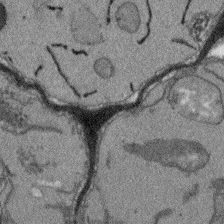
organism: Arabidopsis thaliana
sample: Root tip